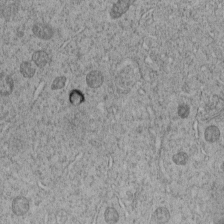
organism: C. elegans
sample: C. elegans embryo early stage